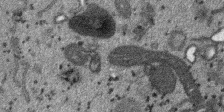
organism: Human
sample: Lung epithelial cells infected with SARS-CoV-2